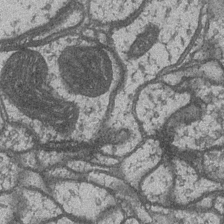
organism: Drosophila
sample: Optic medulla